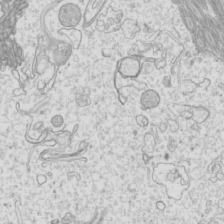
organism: Mouse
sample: Cilia; mouse epididymis